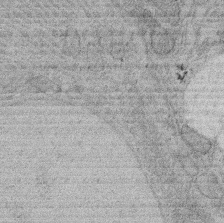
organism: Rat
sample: Salivary granule